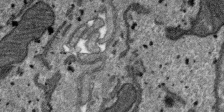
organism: Human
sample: Lung epithelial cells, uninfected (mock) control